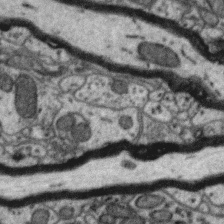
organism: Zebra finch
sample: Brain